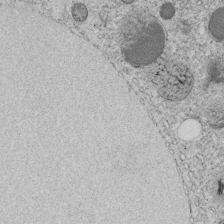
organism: C. elegans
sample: C. elegans embryo early stage